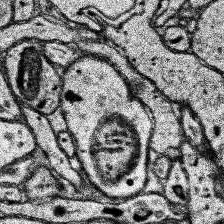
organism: Human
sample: Temporal Lobe